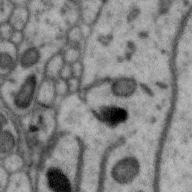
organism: Zebra finch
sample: Brain